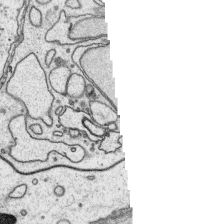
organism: Platynereis dumerilii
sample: Parapodia